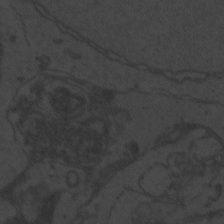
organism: Zebrafish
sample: Macrophage infected with Toxoplasma gondii